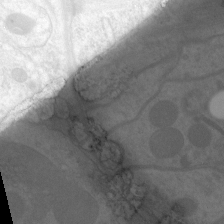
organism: C. elegans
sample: Pharynx